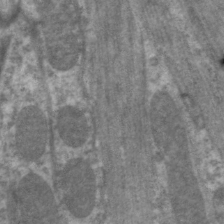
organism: C. elegans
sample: Pharynx